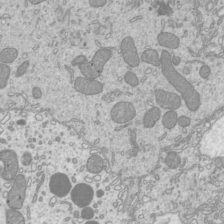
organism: Mouse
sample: Cilia; mouse epididymis